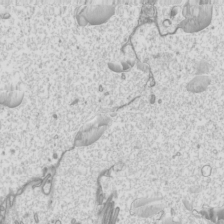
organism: Mouse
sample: Cilia; mouse epididymis